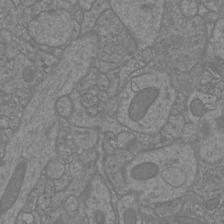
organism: Mouse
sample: Cortical neurons